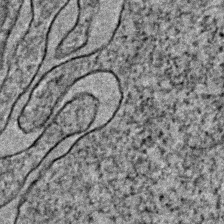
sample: Trachea